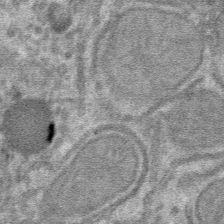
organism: Mouse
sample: Mouse hepatocytes